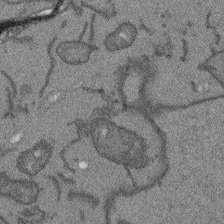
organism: Arabidopsis thaliana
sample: Root tip